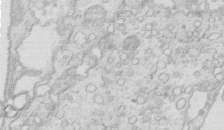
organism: Mouse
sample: Multiciliated cells